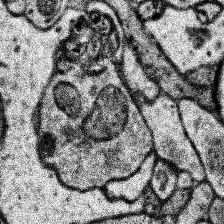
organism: Human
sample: Temporal Lobe